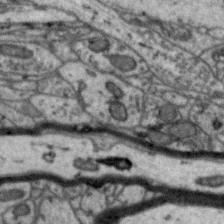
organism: Zebra finch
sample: Brain